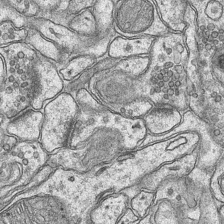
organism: Mouse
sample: CA1 Hippocampus